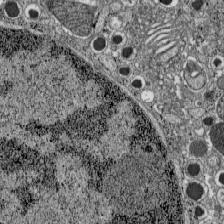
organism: C57BL Mouse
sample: Pancreatic islet